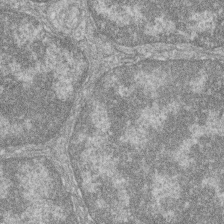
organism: Zebrafish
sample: Cilia; retinal pigment epithelium